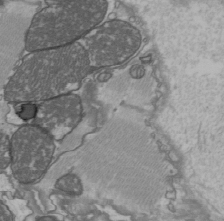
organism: C57BL Mouse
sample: Heart